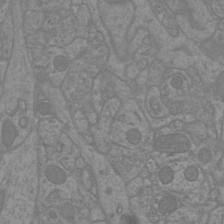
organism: Mouse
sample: Cortical neurons